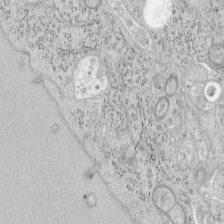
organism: Mouse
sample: OT-I killer T cells with ID8 ovarian cancer cells